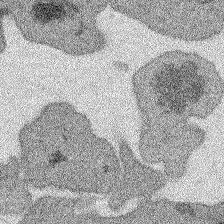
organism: Human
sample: HeLa cells